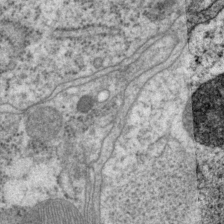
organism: P. pacificus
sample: Pharynx